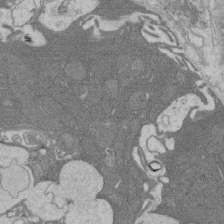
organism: Rat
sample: Salivary granule